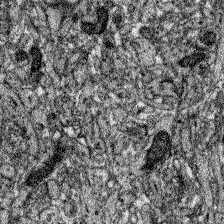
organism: Zebrafish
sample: Larval olfactory bulb